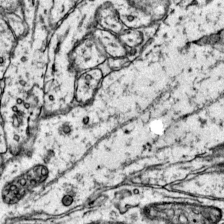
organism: Mouse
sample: Primary visual cortex